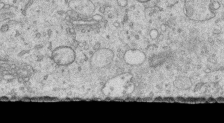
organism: Human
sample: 1205lu cells